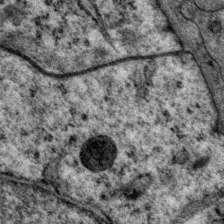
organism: P. pacificus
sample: Pharynx